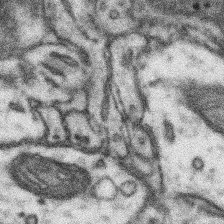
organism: Mouse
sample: Somatosensory cortex neuropil